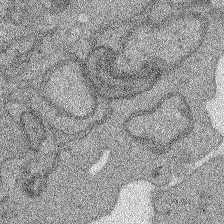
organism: Human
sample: HeLa cells